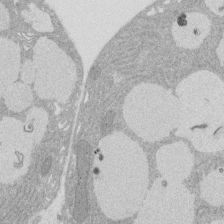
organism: Rat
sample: Salivary granule